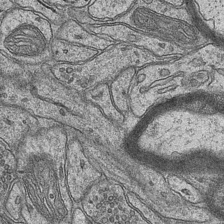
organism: Mouse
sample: CA1 Hippocampus